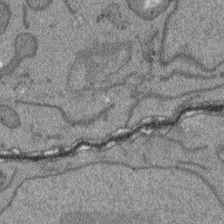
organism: Arabidopsis thaliana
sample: Root tip